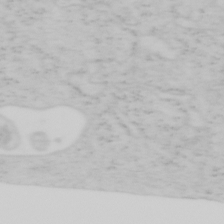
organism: Mouse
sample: OT-I killer T cells with ID8 ovarian cancer cells